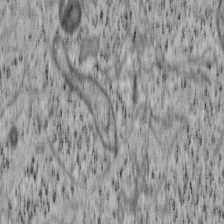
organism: Human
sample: HeLa cells